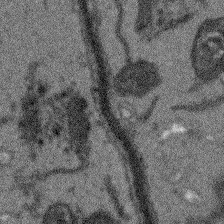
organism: Arabidopsis thaliana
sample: Root tip